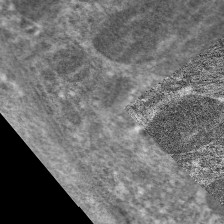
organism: C. elegans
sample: Pharynx